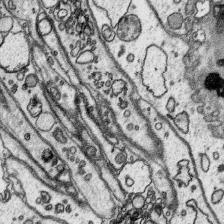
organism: Platynereis dumerilii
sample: Parapodia